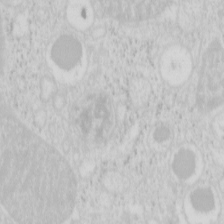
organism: Mouse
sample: Pancreas